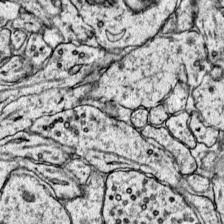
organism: Mouse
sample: Primary visual cortex